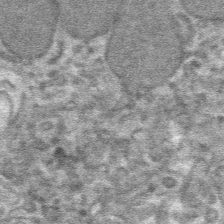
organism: Mouse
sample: Mouse hepatocytes